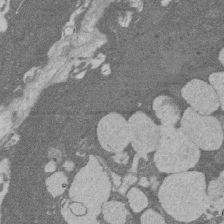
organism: Rat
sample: Salivary granule